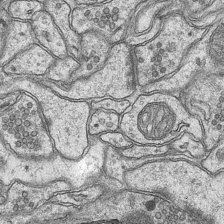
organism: Mouse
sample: CA1 Hippocampus